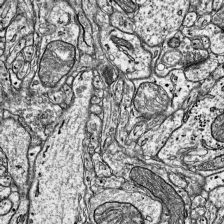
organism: Mouse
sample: Visual Cortex